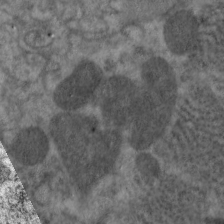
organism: C. elegans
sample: Pharynx